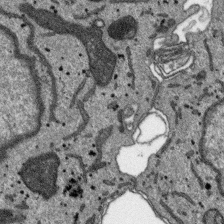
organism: Human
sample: Lung epithelial cells, uninfected (mock) control